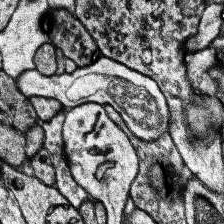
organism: Human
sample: Temporal Lobe